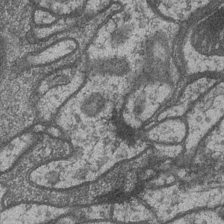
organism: Drosophila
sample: Optic medulla